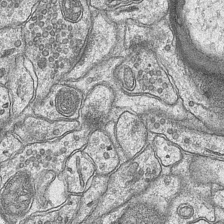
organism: Mouse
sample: CA1 Hippocampus